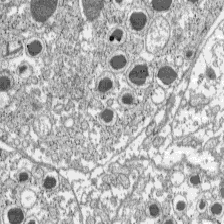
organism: C57BL Mouse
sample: Pancreatic islet